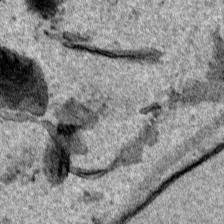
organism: Human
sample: Mitochondria in HCT116 cells